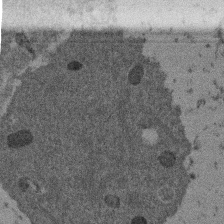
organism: Mouse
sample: Dividing mouse embryo 1 cell stage